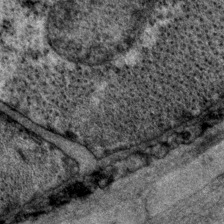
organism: P. pacificus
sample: Pharynx